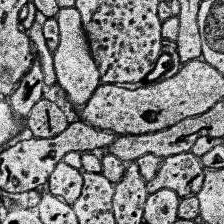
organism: Human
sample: Temporal Lobe